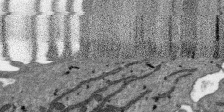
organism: Human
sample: Lung epithelial cells, uninfected (mock) control